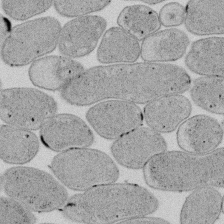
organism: E. coli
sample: Bacterial nucleoid